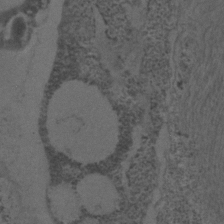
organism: C. elegans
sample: C. elegans embryo